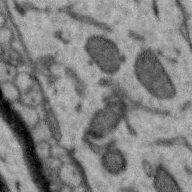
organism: Zebra finch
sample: Brain